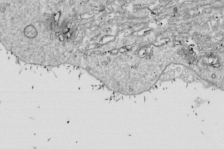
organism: Drosophila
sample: Cell division; meiosis; drosophila spermatocytes